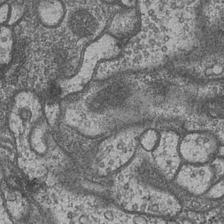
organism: Drosophila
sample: Optic medulla